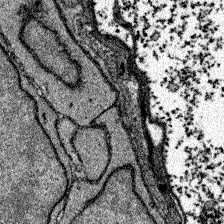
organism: Zebrafish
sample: Larval olfactory bulb